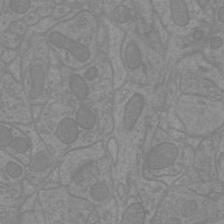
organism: Mouse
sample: Cortical neurons